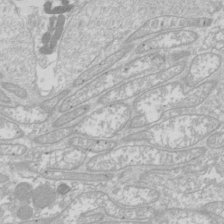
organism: Drosophila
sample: Cell division; meiosis; drosophila spermatocytes